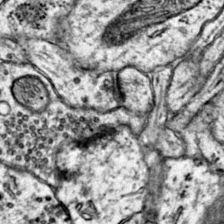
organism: Mouse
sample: Primary visual cortex